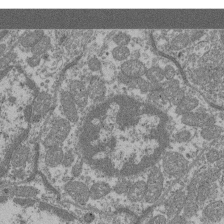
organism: Mouse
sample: Glomerulus